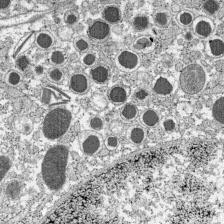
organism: C57BL Mouse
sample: Pancreatic islet